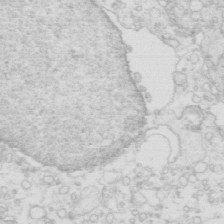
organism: Mouse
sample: Multiciliated cells